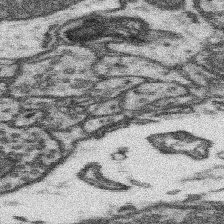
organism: Mouse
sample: Somatosensory cortex neuropil